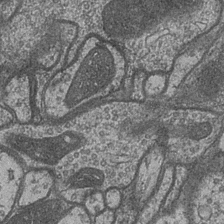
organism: Drosophila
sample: Optic medulla